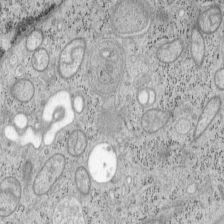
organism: Mouse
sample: OT-I killer T cells with ID8 ovarian cancer cells